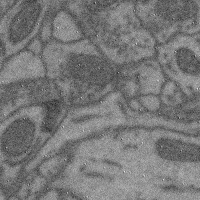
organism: Mouse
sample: Cerebral cortex